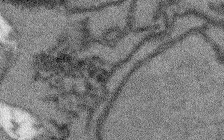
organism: Arabidopsis thaliana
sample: Root tip